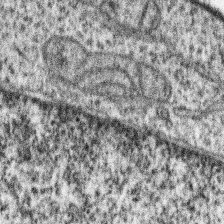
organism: Human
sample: HeLa cells